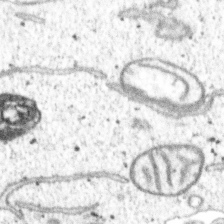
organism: Human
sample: HeLa cells